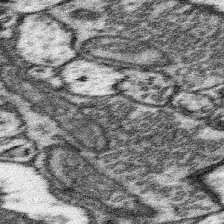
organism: Mouse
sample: Somatosensory cortex neuropil